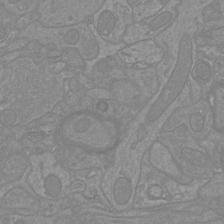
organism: Mouse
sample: Cortical neurons